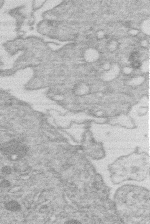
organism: Human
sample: Macrophage cells